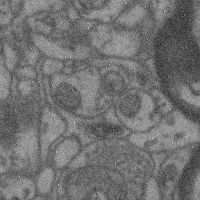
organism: Mouse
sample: Cerebral cortex